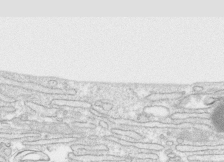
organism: Human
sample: CRL-1474